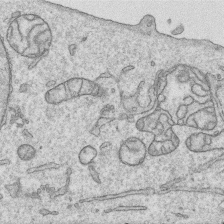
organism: Human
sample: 1205lu cells